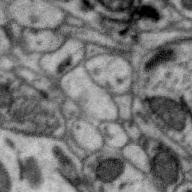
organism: Zebra finch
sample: Brain